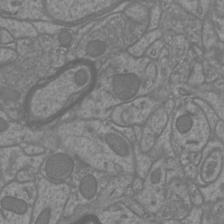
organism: Mouse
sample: Cortical neurons